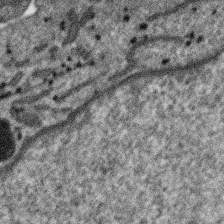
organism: Human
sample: Lung epithelial cells infected with SARS-CoV-2